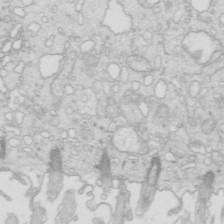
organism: Mouse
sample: Multiciliated cells